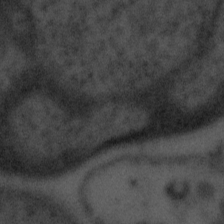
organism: Tuwongella immobilis